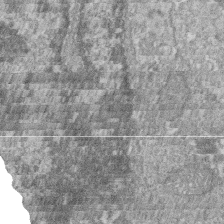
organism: Zebrafish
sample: Cilia; retinal pigment epithelium